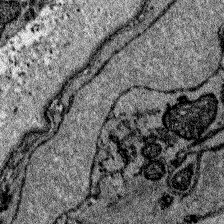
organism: Zebrafish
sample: Larval olfactory bulb